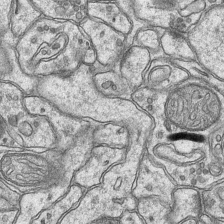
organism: Mouse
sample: CA1 Hippocampus